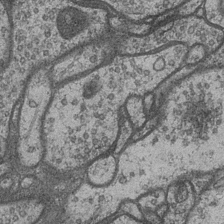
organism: Drosophila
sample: Optic medulla